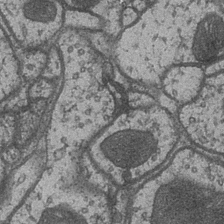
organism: Drosophila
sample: Optic medulla